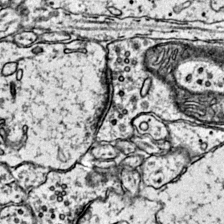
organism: Mouse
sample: Primary visual cortex